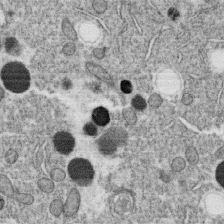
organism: C. elegans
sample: C. elegans oocyte; sperm cells